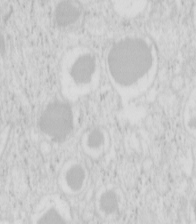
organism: Mouse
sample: Pancreas